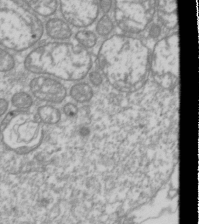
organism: Drosophila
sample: Cell division; meiosis; drosophila spermatocytes